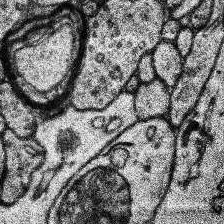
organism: Human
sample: Temporal Lobe